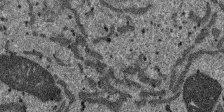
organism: Human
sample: Lung epithelial cells infected with SARS-CoV-2